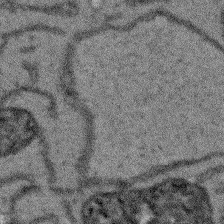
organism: Arabidopsis thaliana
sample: Root tip